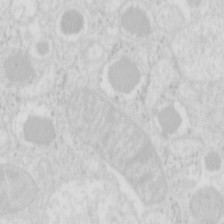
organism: Mouse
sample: Pancreas